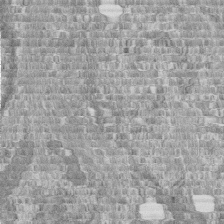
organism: Human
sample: Centriole in fibroblast cells